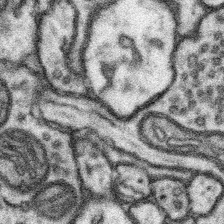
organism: Mouse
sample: Somatosensory cortex neuropil